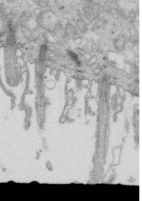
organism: Mouse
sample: Multiciliated cells